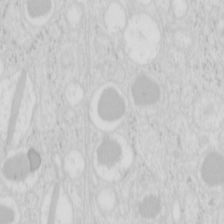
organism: Mouse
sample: Pancreas